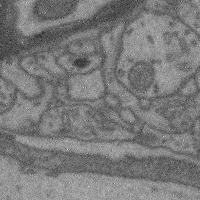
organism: Mouse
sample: Cerebral cortex